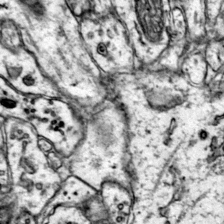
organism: Mouse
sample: Primary visual cortex